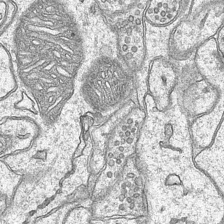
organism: Mouse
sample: CA1 Hippocampus